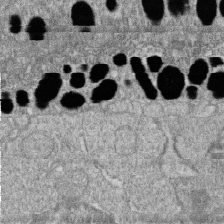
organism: Zebrafish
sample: Cilia; retinal pigment epithelium